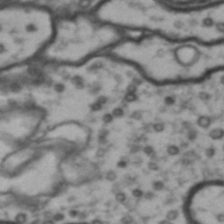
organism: Drosophila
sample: Brain